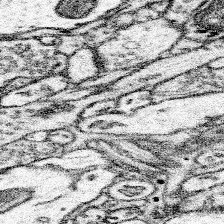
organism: Mouse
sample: Somatosensory cortex neuropil